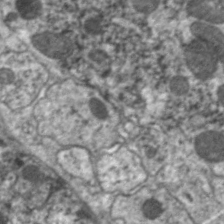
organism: C. elegans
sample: Pharynx